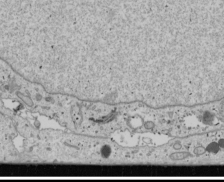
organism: Human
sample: Mitochondria in U2OS cells